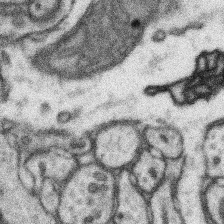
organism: Mouse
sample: Somatosensory cortex neuropil